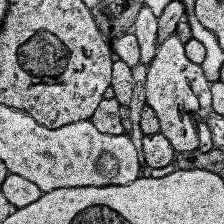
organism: Human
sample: Temporal Lobe